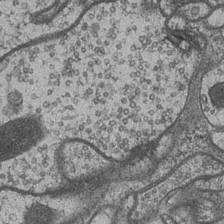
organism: Drosophila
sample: Optic medulla